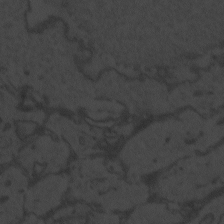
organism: Zebrafish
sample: Macrophage infected with Toxoplasma gondii